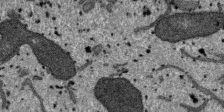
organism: Human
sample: Lung epithelial cells, uninfected (mock) control